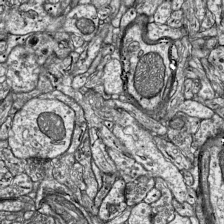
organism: Mouse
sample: Visual Cortex